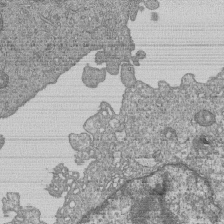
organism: Human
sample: MDA-MB-231 cells